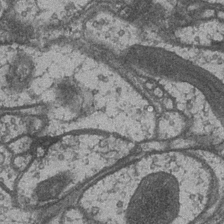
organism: Drosophila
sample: Optic medulla